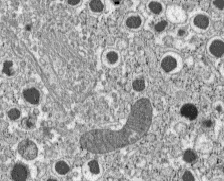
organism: C57BL Mouse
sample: Pancreatic islet